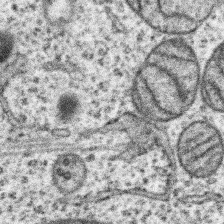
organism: Human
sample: HeLa cells